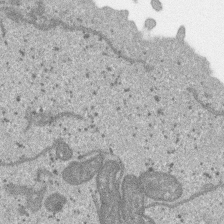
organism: Human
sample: Lung epithelial cells infected with SARS-CoV-2